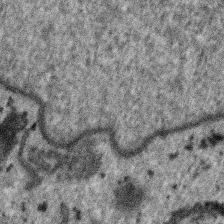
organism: Human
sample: Lung epithelial cells infected with SARS-CoV-2